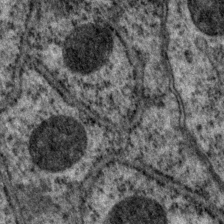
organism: P. pacificus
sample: Pharynx